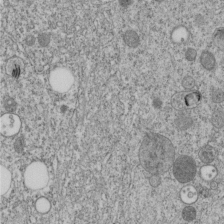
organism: C. elegans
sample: C. elegans embryo early stage